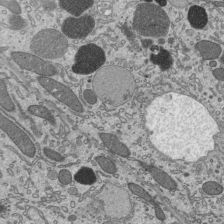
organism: Mouse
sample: Mouse epididymis efferent ductule cilia